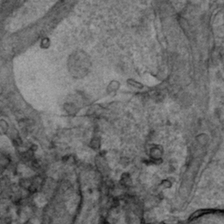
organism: Human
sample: Mitochondria in HCT116 cells